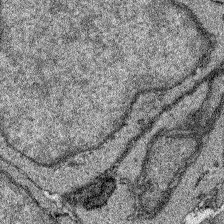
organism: Zebrafish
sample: Larval olfactory bulb